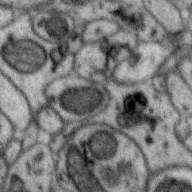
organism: Zebra finch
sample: Brain